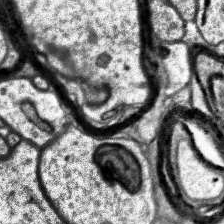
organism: Human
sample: Temporal Lobe